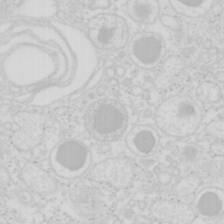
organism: Mouse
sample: Pancreas